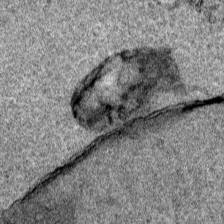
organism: Human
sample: Mitochondria in HCT116 cells